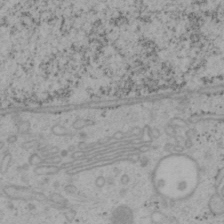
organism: Human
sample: HeLa cells